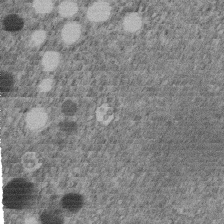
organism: C. elegans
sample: C. elegans embryo early stage